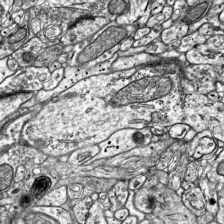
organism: Mouse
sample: Visual Cortex